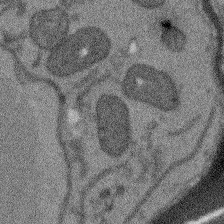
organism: Arabidopsis thaliana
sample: Root tip